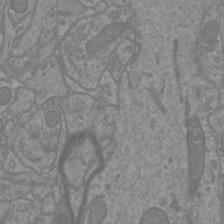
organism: Mouse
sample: Cortical neurons